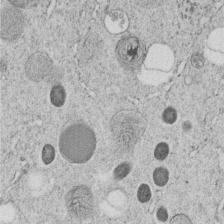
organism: C. elegans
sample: C. elegans embryo early stage